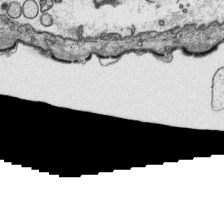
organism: Platynereis dumerilii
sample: Parapodia